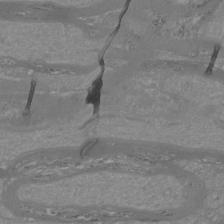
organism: Mouse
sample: Cortical neurons